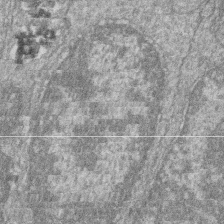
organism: Zebrafish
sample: Cilia; retinal pigment epithelium